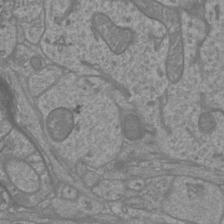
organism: Mouse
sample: Cortical neurons